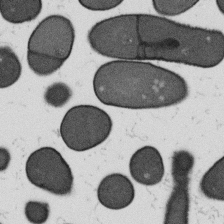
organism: B. subtilis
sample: Bacterial spore